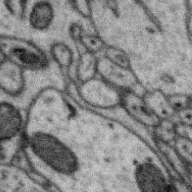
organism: Zebra finch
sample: Brain